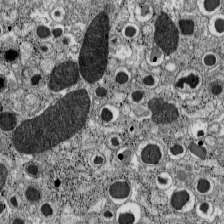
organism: C57BL Mouse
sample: Pancreatic islet